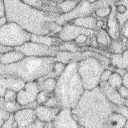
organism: Rabbit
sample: Retina